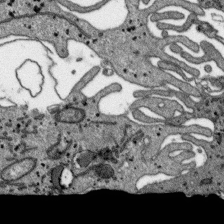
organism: Human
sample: Lung epithelial cells, uninfected (mock) control